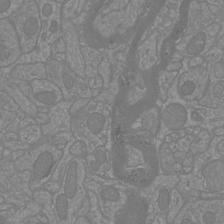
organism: Mouse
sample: Cortical neurons